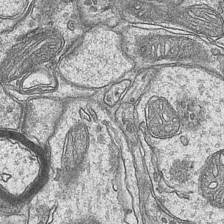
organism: Mouse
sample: CA1 Hippocampus